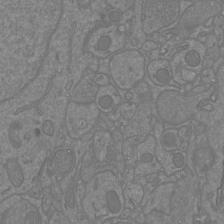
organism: Mouse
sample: Cortical neurons